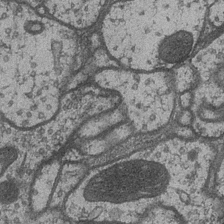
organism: Drosophila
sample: Optic medulla